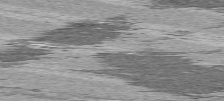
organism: C57BL Mouse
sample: Heart